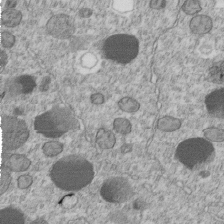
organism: C. elegans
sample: C. elegans embryo early stage